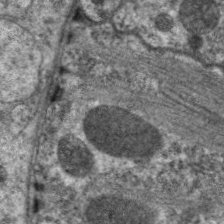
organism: C. elegans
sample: Pharynx